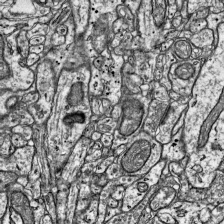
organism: Mouse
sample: Visual Cortex